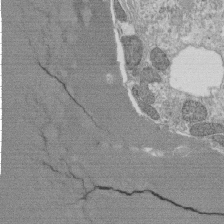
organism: Tetrahymena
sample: Cilia in tetrahymena